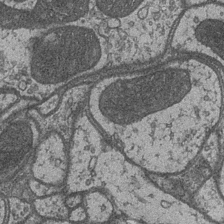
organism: Drosophila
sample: Optic medulla